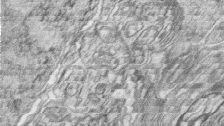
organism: Zebrafish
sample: synaptic ribbons in rod cells and cone cells